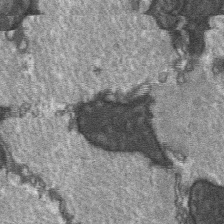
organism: C57BL Mouse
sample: Soleus